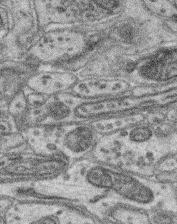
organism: Mouse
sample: Retina